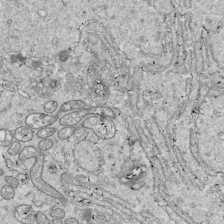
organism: Drosophila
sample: Cell division; meiosis; drosophila spermatocytes